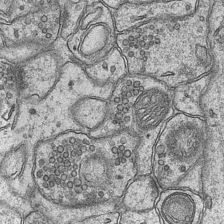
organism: Mouse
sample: CA1 Hippocampus